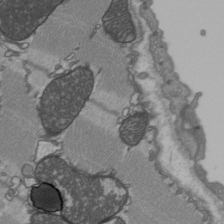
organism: C57BL Mouse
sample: Heart